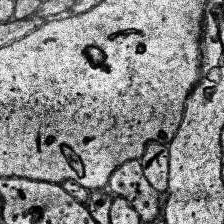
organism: Human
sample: Temporal Lobe